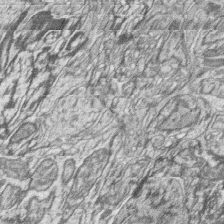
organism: Zebrafish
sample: synaptic ribbons in rod cells and cone cells